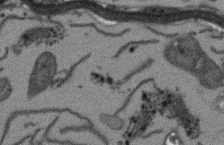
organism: Arabidopsis thaliana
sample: Root tip